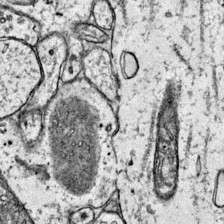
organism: Mouse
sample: Primary visual cortex